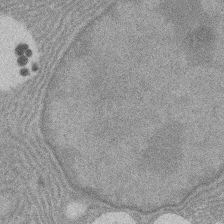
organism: Rat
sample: Salivary granule